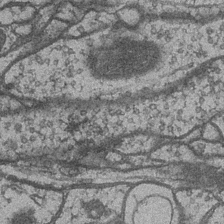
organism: Drosophila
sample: Optic medulla